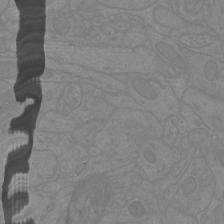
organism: Mouse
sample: Cortical neurons